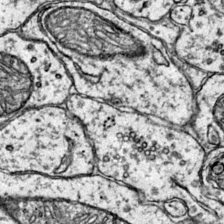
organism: Mouse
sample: Primary visual cortex